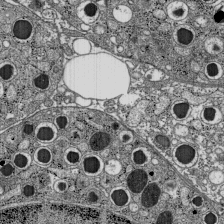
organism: C57BL Mouse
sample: Pancreatic islet